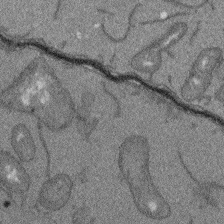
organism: Arabidopsis thaliana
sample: Root tip